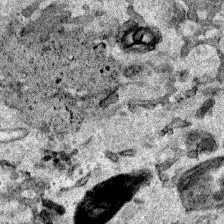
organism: Human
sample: Mitochondria in HCT116 cells